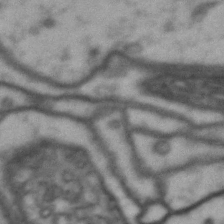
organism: Drosophila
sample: Brain